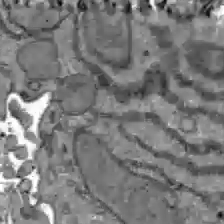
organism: C57BL Mouse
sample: Liver